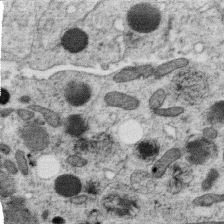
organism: C. elegans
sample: C. elegans oocyte; sperm cells